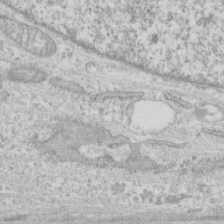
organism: Human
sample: CRL-1474